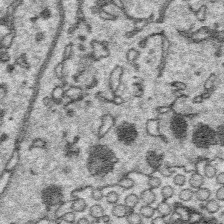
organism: Platynereis dumerilii